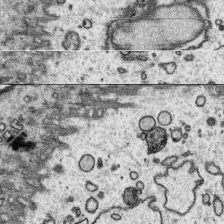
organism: Platynereis dumerilii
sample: Parapodia